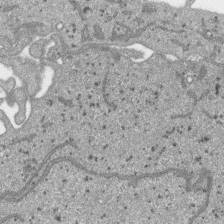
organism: Human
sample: Lung epithelial cells infected with SARS-CoV-2